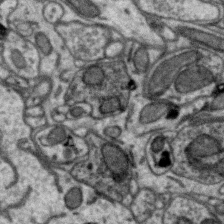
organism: Zebra finch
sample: Brain